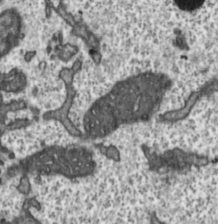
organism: Toxoplasma gondii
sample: Parasites in a vacuole inside a host cell